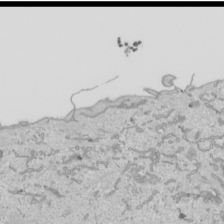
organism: Human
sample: Mitochondria in HCT116 cells